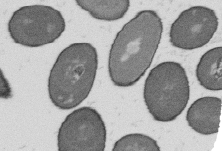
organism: B. subtilis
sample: Bacterial spore